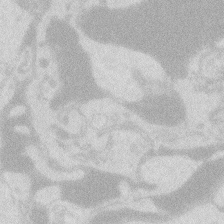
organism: Zebrafish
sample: Macrophage